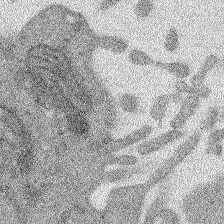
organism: Human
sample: HeLa cells